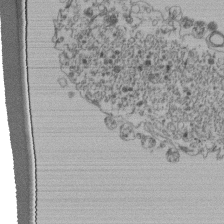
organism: Human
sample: Retinal organoid Rod and Cone cells